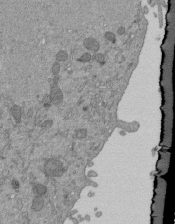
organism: Mouse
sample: ED-1 cell nuclei; centrioles